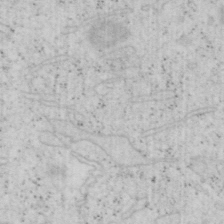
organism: Human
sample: HeLa cells